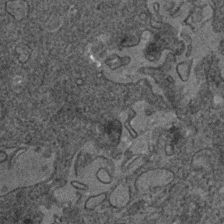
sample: Trachea